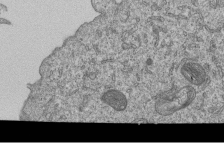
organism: Human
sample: MDA-MB-231 cells